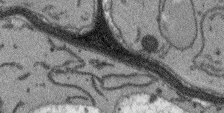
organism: Arabidopsis thaliana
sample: Root tip